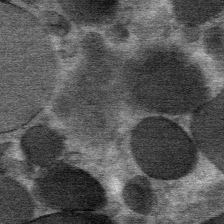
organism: Mouse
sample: Mouse Salivary gland